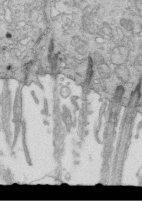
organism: Mouse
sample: Multiciliated cells